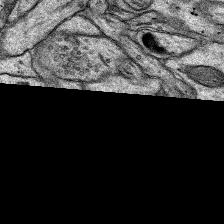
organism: Rat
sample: Hippocampus